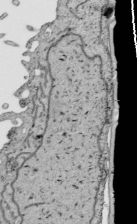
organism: Human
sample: Mitochondria in HCT116 cells